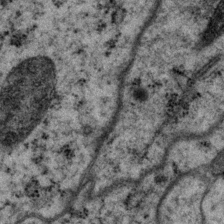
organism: P. pacificus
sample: Pharynx